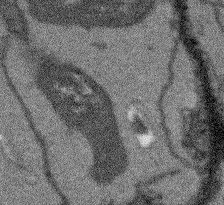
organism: Arabidopsis thaliana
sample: Root tip